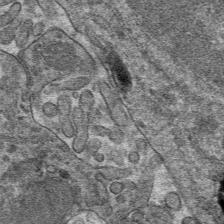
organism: Mouse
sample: Mouse hepatocytes